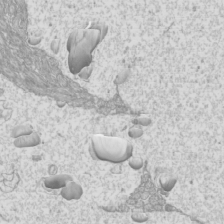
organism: Mouse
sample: Cilia; mouse epididymis